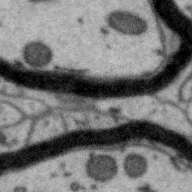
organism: Zebra finch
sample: Brain